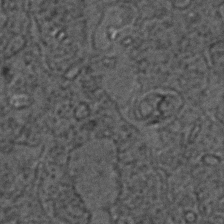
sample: Trachea